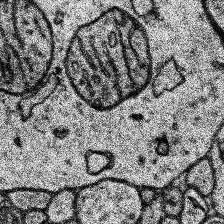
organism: Human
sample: Temporal Lobe